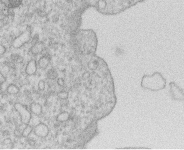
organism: Human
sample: Macrophage cells